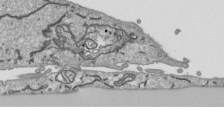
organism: Human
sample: Mitochondria in HCT116 cells